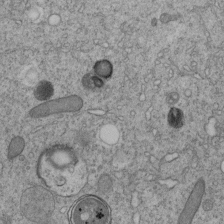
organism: C. elegans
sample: C. elegans embryo early stage